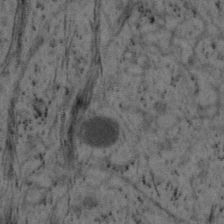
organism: Human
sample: HeLa cells